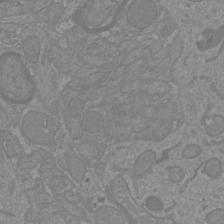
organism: Mouse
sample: Cortical neurons